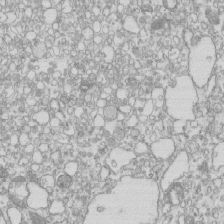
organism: Mouse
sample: Macrophages